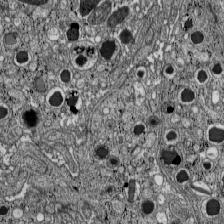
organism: C57BL Mouse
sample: Pancreatic islet